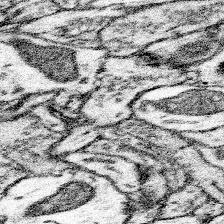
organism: Mouse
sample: Somatosensory cortex neuropil